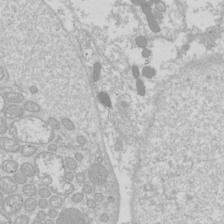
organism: Drosophila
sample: Cell division; meiosis; drosophila spermatocytes